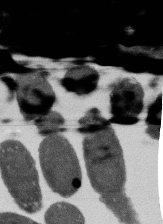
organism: E. coli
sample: Bacterial nucleoid